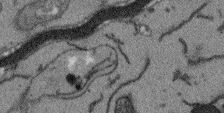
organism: Arabidopsis thaliana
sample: Root tip